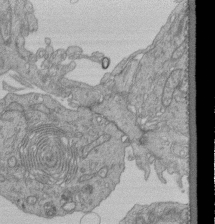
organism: Human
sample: Retinal organoid Rod and Cone cells